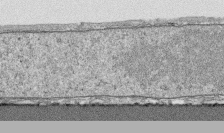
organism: Human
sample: CRL-1474